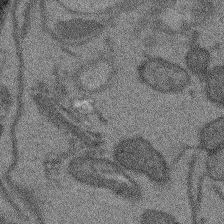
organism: Arabidopsis thaliana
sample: Root tip